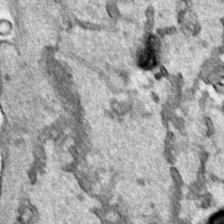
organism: Human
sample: Mitochondria in HCT116 cells